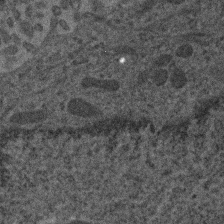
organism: Human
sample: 1205lu cells